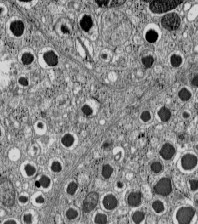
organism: C57BL Mouse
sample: Pancreatic islet